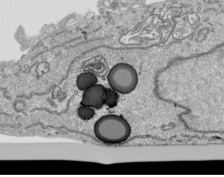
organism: Human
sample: Mitochondria in HCT116 cells